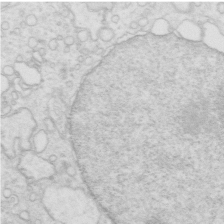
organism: Mouse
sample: Multiciliated cells